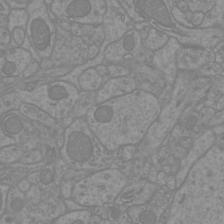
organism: Mouse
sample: Cortical neurons